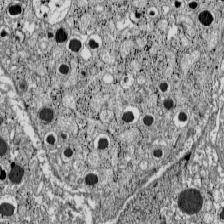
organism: C57BL Mouse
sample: Pancreatic islet